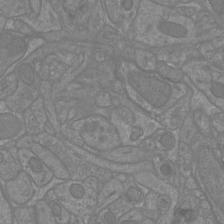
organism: Mouse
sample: Cortical neurons